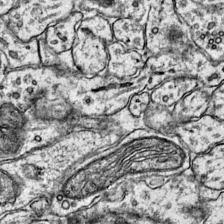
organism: Mouse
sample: Primary visual cortex